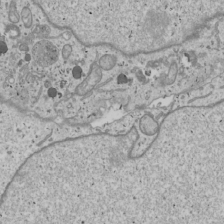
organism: Human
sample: Mitochondria in U2OS cells